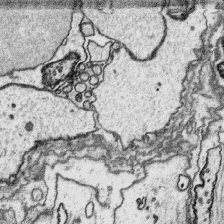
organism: Platynereis dumerilii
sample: Parapodia